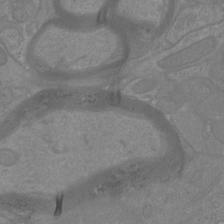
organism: Mouse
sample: Cortical neurons